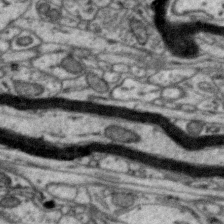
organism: Zebra finch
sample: Brain